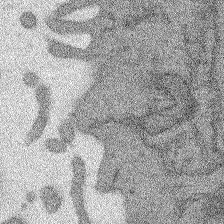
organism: Human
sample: HeLa cells